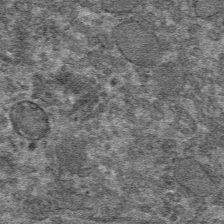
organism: Mouse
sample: Mouse hepatocytes